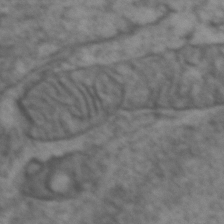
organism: Zebrafish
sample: Zebrafish embryo